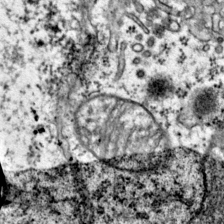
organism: Mouse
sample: Primary visual cortex